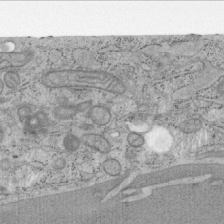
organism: Human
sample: HeLa cells